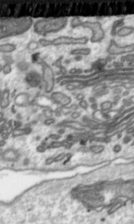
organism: Toxoplasma gondii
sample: Parasites in a vacuole inside a host cell